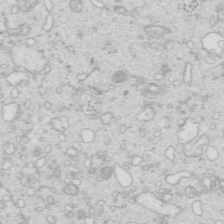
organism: Mouse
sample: Multiciliated cells